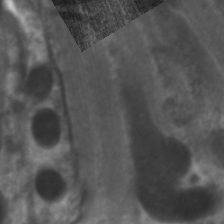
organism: C. elegans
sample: Pharynx